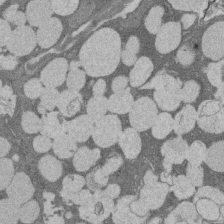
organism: Rat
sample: Salivary granule